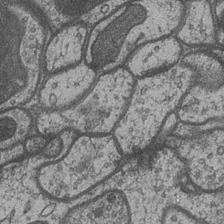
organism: Drosophila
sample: Optic medulla